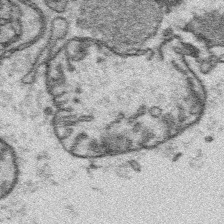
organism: Platynereis dumerilii